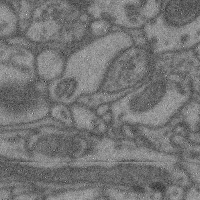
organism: Mouse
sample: Cerebral cortex